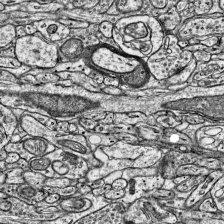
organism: Mouse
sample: Visual Cortex